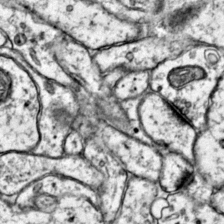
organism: Mouse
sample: Primary visual cortex